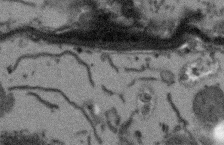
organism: Arabidopsis thaliana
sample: Root tip